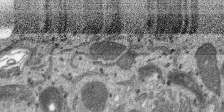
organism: Human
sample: Lung epithelial cells infected with SARS-CoV-2